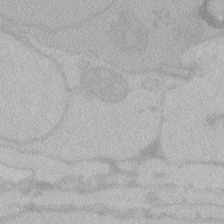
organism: Zebrafish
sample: Macrophage infected with Toxoplasma gondii